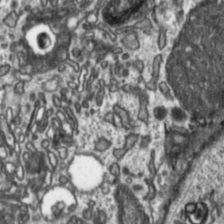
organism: Toxoplasma gondii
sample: Parasites in a vacuole inside a host cell